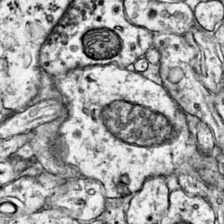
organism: Mouse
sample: Primary visual cortex